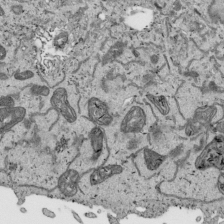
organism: Human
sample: Mitochondria in HCT116 cells